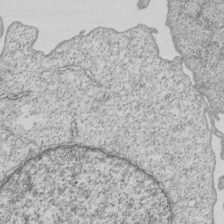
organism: Human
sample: MDA-MB-231 cells